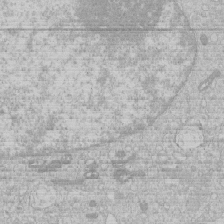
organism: Human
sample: Macrophage cells